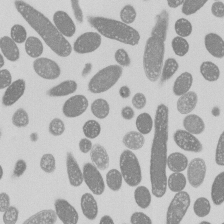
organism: E. coli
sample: Bacterial nucleoid